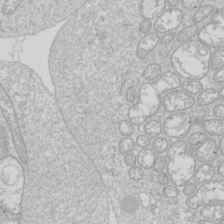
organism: Drosophila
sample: Cell division; meiosis; drosophila spermatocytes